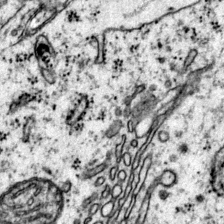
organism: Mouse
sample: Primary visual cortex